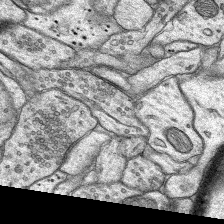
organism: Rat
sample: Hippocampus